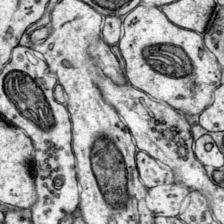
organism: Mouse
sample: Primary visual cortex